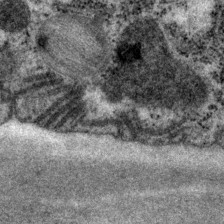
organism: P. pacificus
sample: Pharynx